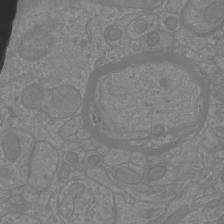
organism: Mouse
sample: Cortical neurons